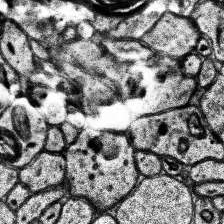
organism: Human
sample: Temporal Lobe